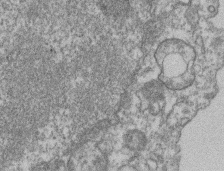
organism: Mouse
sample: T cell stromal cell synapse